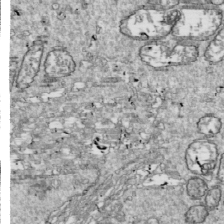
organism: Drosophila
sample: Cell division; meiosis; drosophila spermatocytes